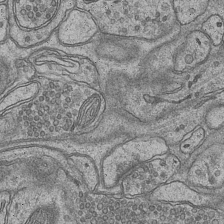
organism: Mouse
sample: CA1 Hippocampus